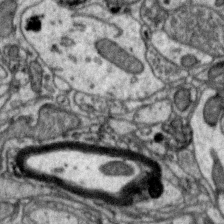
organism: Zebra finch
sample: Brain